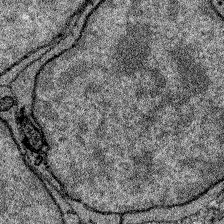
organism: Zebrafish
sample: Larval olfactory bulb